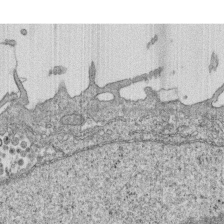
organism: Human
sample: HeLa cell HIV synapse